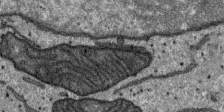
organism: Human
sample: Lung epithelial cells, uninfected (mock) control